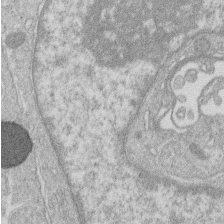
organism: Human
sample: Macrophage cells